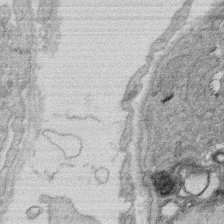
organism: Rat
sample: Salivary granule